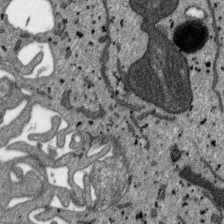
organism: Human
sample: Lung epithelial cells, uninfected (mock) control